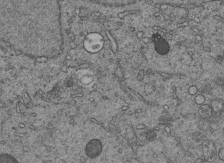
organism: C. elegans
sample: C. elegans embryo early stage